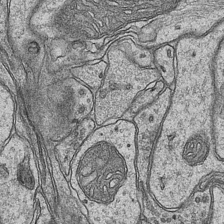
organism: Mouse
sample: CA1 Hippocampus